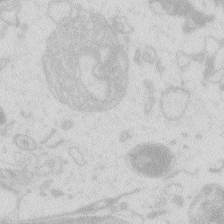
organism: Zebrafish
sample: Macrophage